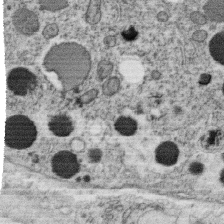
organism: C. elegans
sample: C. elegans oocyte; sperm cells